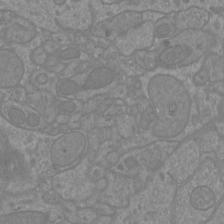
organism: Mouse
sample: Cortical neurons